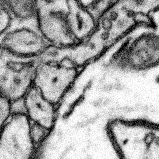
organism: Mouse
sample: Somatosensory cortex neuropil